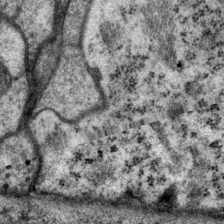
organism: P. pacificus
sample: Pharynx